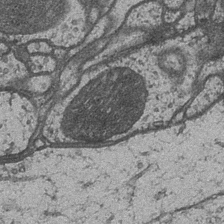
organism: Drosophila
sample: Optic medulla